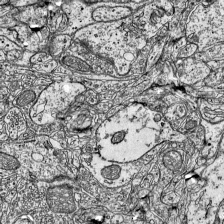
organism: Mouse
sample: Visual Cortex